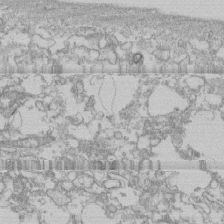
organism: Human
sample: CRL-1474